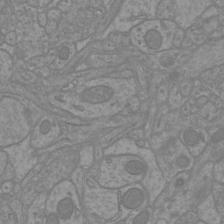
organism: Mouse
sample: Cortical neurons